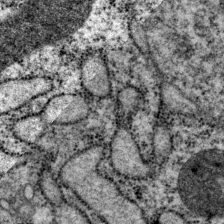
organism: P. pacificus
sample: Pharynx